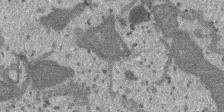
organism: Human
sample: Lung epithelial cells infected with SARS-CoV-2